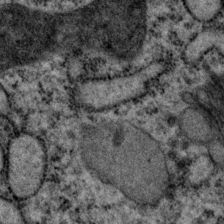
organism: P. pacificus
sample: Pharynx